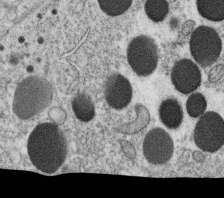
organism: C. elegans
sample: C. elegans oocyte; sperm cells